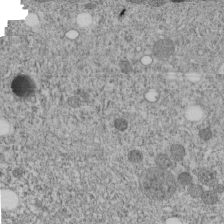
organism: C. elegans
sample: C. elegans embryo early stage